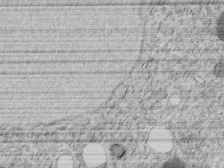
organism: C. elegans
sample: C. elegans embryo early stage